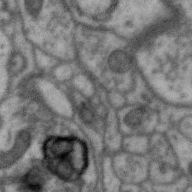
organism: Zebra finch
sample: Brain